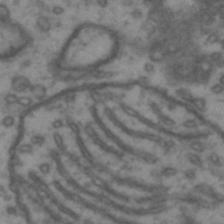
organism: Drosophila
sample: Brain